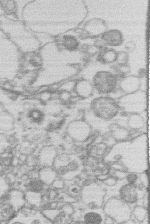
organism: Human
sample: Macrophage cells